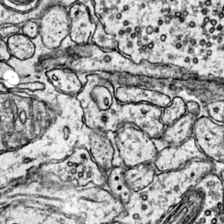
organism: Mouse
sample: Primary visual cortex